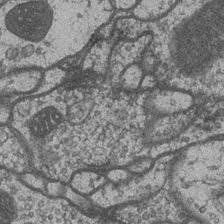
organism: Drosophila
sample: Optic medulla